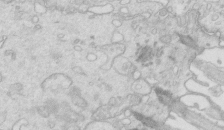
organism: Mouse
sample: Multiciliated cells